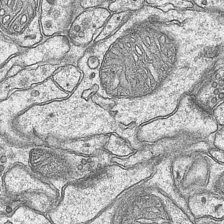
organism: Mouse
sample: CA1 Hippocampus